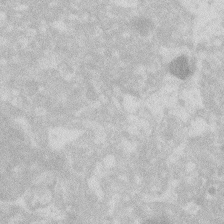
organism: Zebrafish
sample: Macrophage